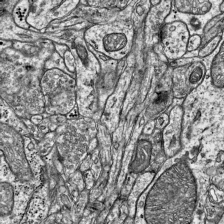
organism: Mouse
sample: Visual Cortex